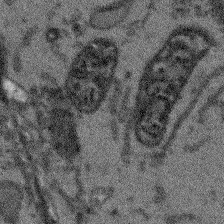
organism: Arabidopsis thaliana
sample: Root tip